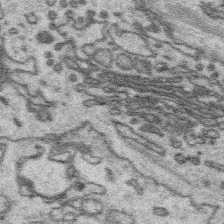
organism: Platynereis dumerilii